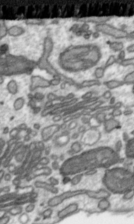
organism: Toxoplasma gondii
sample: Parasites in a vacuole inside a host cell